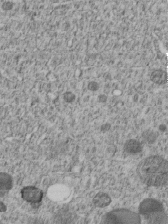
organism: C. elegans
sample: C. elegans embryo early stage